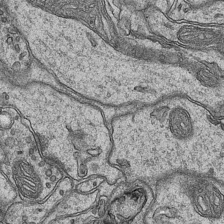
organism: Mouse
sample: CA1 Hippocampus